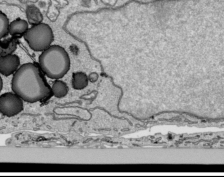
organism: Human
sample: Mitochondria in HCT116 cells